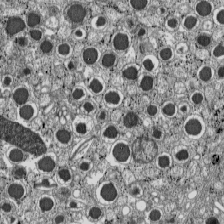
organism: C57BL Mouse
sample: Pancreatic islet